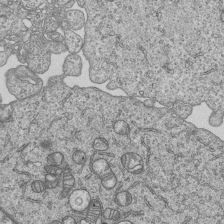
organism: Human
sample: MDA-MB-231 cells